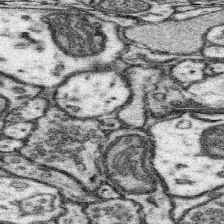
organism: Mouse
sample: Somatosensory cortex neuropil